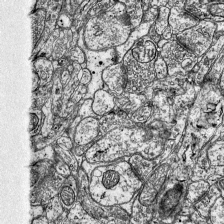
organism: Mouse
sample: Visual Cortex